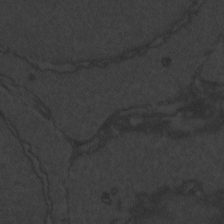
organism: Zebrafish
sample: Macrophage infected with Toxoplasma gondii